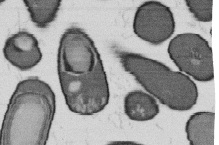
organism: B. subtilis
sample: Bacterial spore